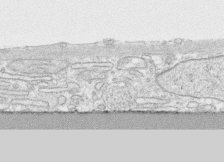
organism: Human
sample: CRL-1474